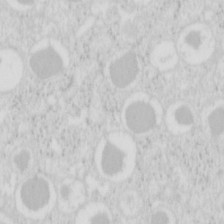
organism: Mouse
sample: Pancreas